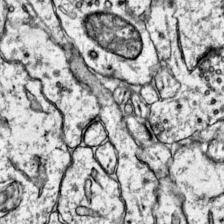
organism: Mouse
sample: Primary visual cortex